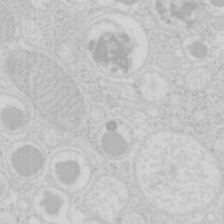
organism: Mouse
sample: Pancreas